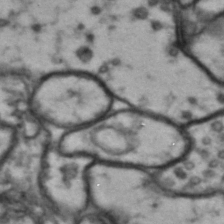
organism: Drosophila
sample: Brain